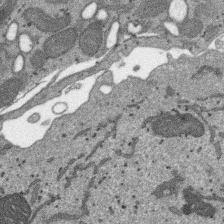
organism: Human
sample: Lung epithelial cells infected with SARS-CoV-2